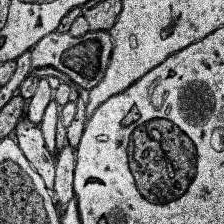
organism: Human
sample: Temporal Lobe